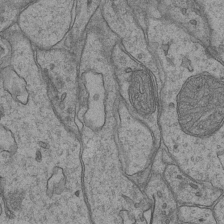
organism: Mouse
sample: CA1 Hippocampus